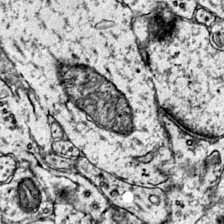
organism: Mouse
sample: Primary visual cortex